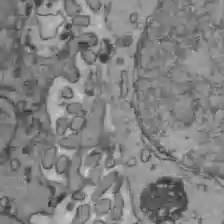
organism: C57BL Mouse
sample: Liver